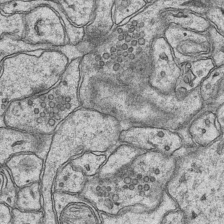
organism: Mouse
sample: CA1 Hippocampus